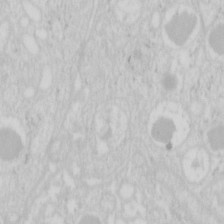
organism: Mouse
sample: Pancreas